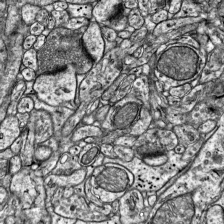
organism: Mouse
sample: Visual Cortex